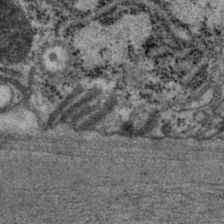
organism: P. pacificus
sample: Pharynx